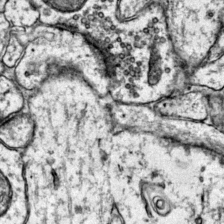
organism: Mouse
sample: Primary visual cortex